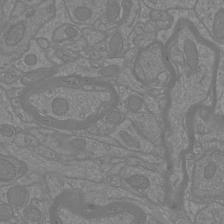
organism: Mouse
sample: Cortical neurons